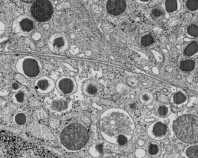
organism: C57BL Mouse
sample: Pancreatic islet